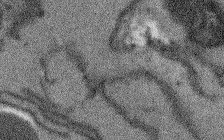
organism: Arabidopsis thaliana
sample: Root tip